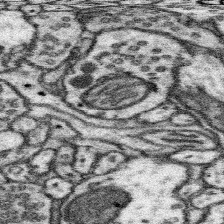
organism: Mouse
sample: Somatosensory cortex neuropil